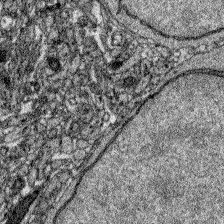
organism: Zebrafish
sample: Larval olfactory bulb